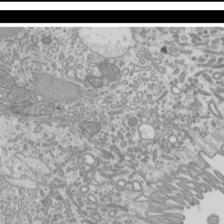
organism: Mouse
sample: Cilia; mouse epididymis